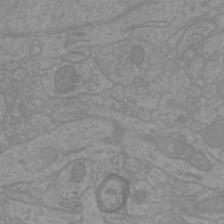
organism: Mouse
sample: Cortical neurons